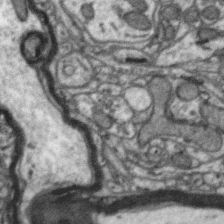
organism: Zebra finch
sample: Brain